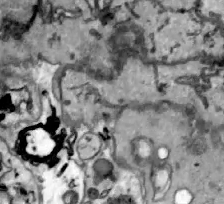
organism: Zebrafish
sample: Actinotrichia fibers